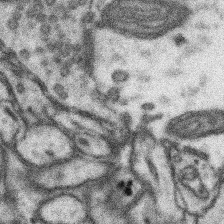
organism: Mouse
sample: Somatosensory cortex neuropil